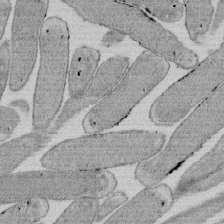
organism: E. coli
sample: Bacterial nucleoid